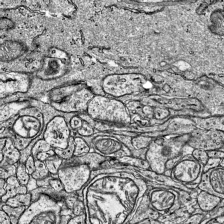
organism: Mouse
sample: Visual Cortex